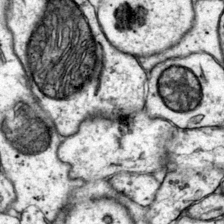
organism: Mouse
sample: Primary visual cortex